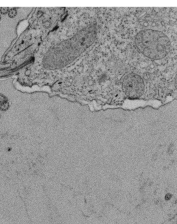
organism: Tetrahymena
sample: Cilia in tetrahymena